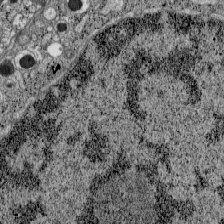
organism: C57BL Mouse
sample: Pancreatic islet